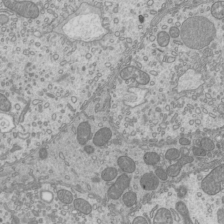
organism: Mouse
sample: Cilia; mouse epididymis